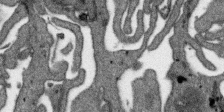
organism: Human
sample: Lung epithelial cells, uninfected (mock) control